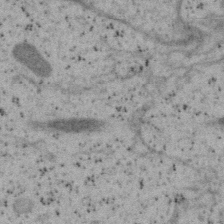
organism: Human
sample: HeLa cells